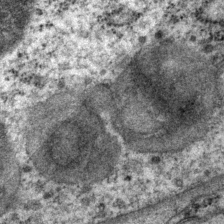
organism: P. pacificus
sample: Pharynx